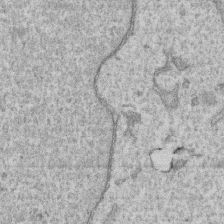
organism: Human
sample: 1205lu cells